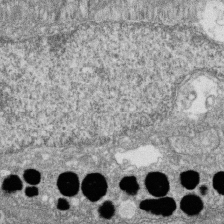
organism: Zebrafish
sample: Cilia; retinal pigment epithelium